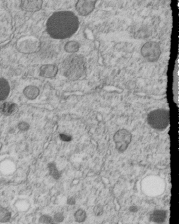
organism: C. elegans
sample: C. elegans embryo early stage